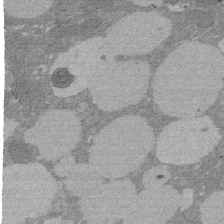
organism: Rat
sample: Salivary granule